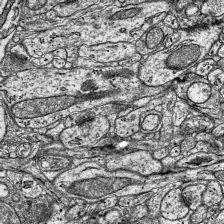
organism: Mouse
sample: Visual Cortex